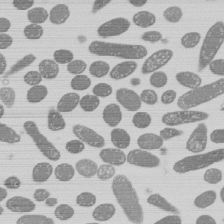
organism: E. coli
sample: Bacterial nucleoid